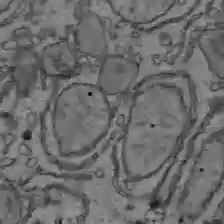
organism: C57BL Mouse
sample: Liver